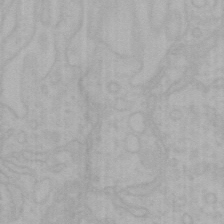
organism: Mouse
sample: Choroid plexus